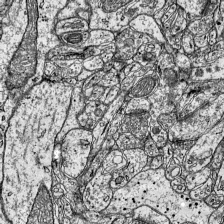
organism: Mouse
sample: Visual Cortex